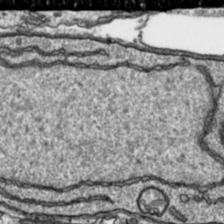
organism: Toxoplasma gondii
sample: Parasites in a vacuole inside a host cell